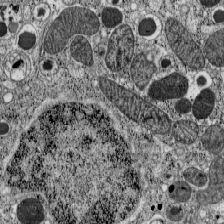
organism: C57BL Mouse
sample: Pancreatic islet